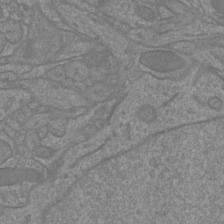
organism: Mouse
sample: Cortical neurons